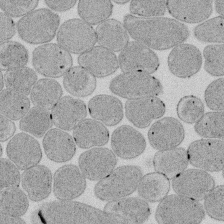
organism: E. coli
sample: Bacterial nucleoid